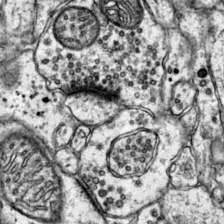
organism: Mouse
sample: Primary visual cortex